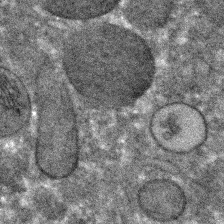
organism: C. elegans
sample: C. elegans embryo